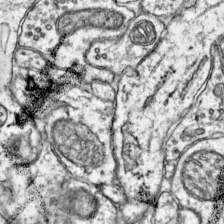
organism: Mouse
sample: Primary visual cortex